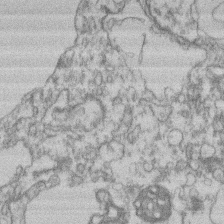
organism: Mouse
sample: T cell stromal cell synapse